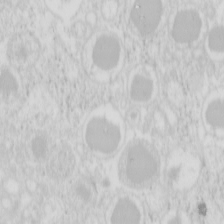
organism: Mouse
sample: Pancreas